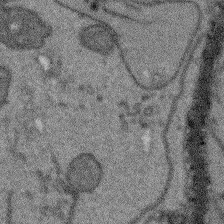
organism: Arabidopsis thaliana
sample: Root tip